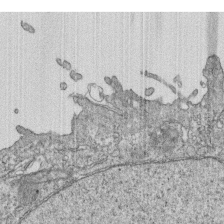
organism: Human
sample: HeLa cell HIV synapse